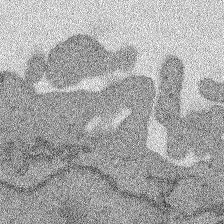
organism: Human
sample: HeLa cells